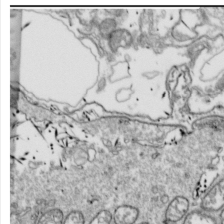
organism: Drosophila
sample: Cell division; meiosis; drosophila spermatocytes